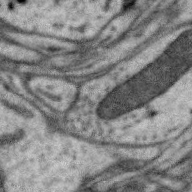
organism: Zebra finch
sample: Brain